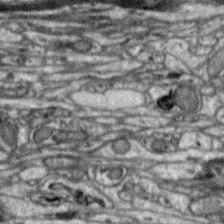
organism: Zebra finch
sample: Brain